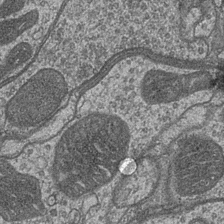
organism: Drosophila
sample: Optic medulla